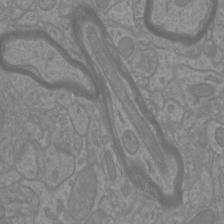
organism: Mouse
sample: Cortical neurons